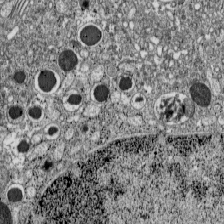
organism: C57BL Mouse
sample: Pancreatic islet